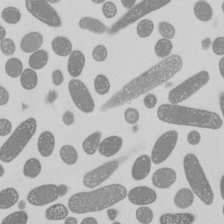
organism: E. coli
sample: Bacterial nucleoid